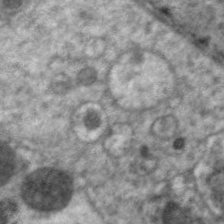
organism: C. elegans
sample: Pharynx